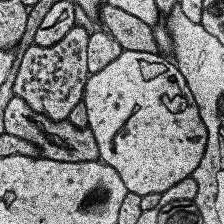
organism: Human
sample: Temporal Lobe